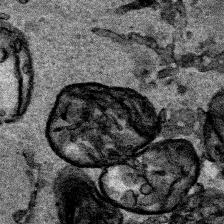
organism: Human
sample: Mitochondria in HCT116 cells